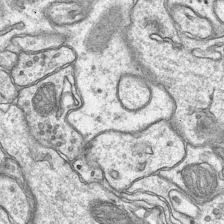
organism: Mouse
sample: CA1 Hippocampus